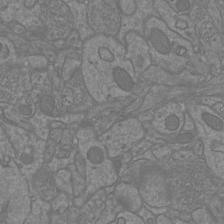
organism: Mouse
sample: Cortical neurons